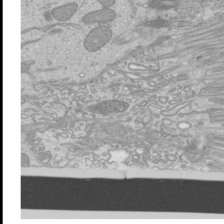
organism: Mouse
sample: Cilia; mouse epididymis